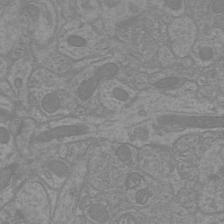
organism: Mouse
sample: Cortical neurons